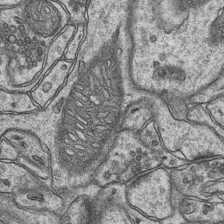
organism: Mouse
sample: CA1 Hippocampus